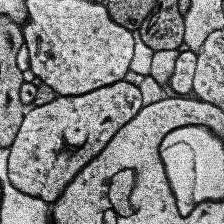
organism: Human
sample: Temporal Lobe